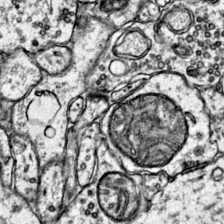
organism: Mouse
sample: Primary visual cortex